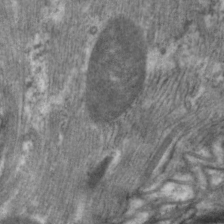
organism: C. elegans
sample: Pharynx